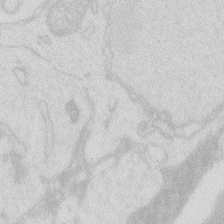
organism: Zebrafish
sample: Macrophage